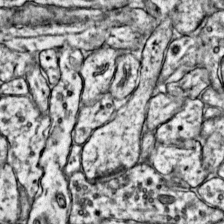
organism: Mouse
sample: Primary visual cortex